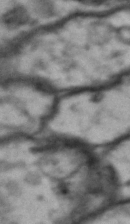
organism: Drosophila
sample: Brain